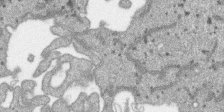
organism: Human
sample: Lung epithelial cells infected with SARS-CoV-2